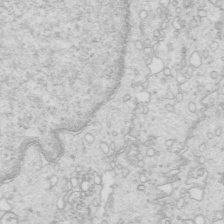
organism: Mouse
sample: Multiciliated cells